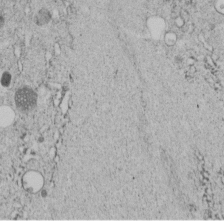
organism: C. elegans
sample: C. elegans embryo early stage